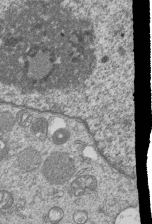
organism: Human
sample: MDA-MB-231 cells